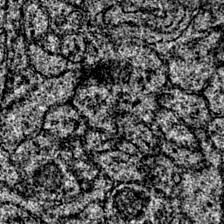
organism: Mouse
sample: Primary visual cortex